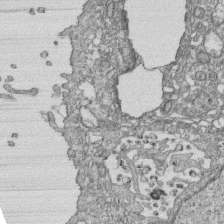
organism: Human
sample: HeLa cell HIV synapse